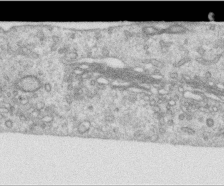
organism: Human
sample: Centriole in RPE cells